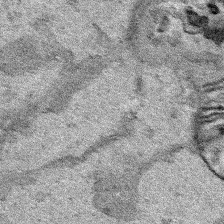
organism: Human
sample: Mitochondria in HCT116 cells